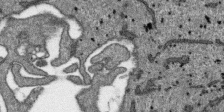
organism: Human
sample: Lung epithelial cells, uninfected (mock) control